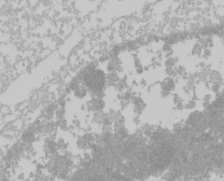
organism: Mouse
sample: Cancer cell death in ED-1 cells